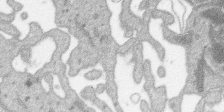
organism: Human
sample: Lung epithelial cells infected with SARS-CoV-2